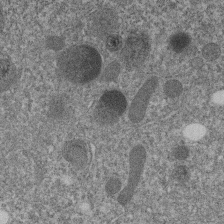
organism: C. elegans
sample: C. elegans embryo early stage